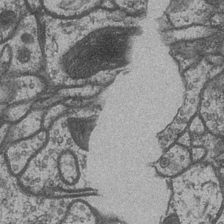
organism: Drosophila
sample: Optic medulla